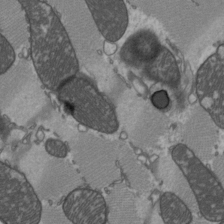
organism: C57BL Mouse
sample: Heart